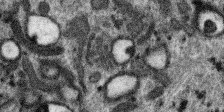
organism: Human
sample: Lung epithelial cells infected with SARS-CoV-2